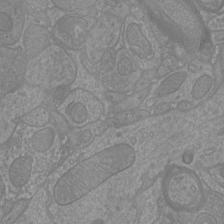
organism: Mouse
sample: Cortical neurons